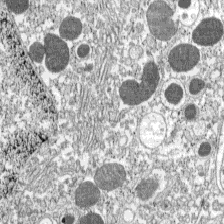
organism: C57BL Mouse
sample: Pancreatic islet